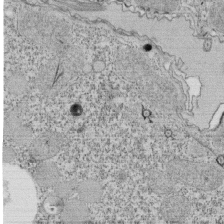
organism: Tetrahymena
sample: Cilia in tetrahymena